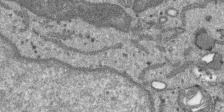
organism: Human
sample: Lung epithelial cells infected with SARS-CoV-2